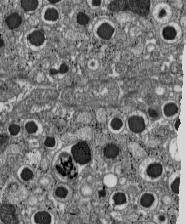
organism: C57BL Mouse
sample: Pancreatic islet